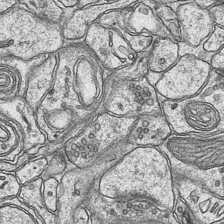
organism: Mouse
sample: CA1 Hippocampus